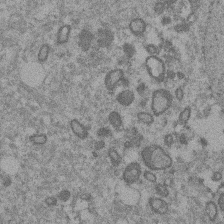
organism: Mouse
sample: Dividing mouse embryo 1 cell stage